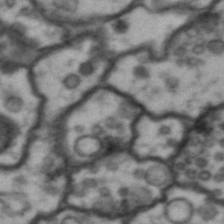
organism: Drosophila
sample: Brain